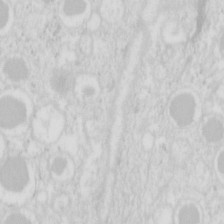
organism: Mouse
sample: Pancreas